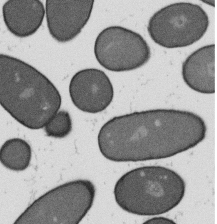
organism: B. subtilis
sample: Bacterial spore